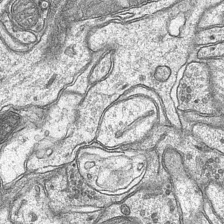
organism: Mouse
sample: CA1 Hippocampus